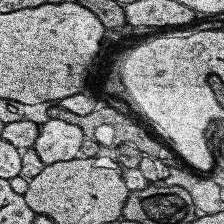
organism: Human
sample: Temporal Lobe